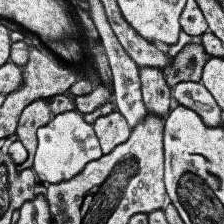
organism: Human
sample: Temporal Lobe